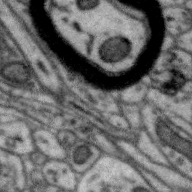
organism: Zebra finch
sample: Brain